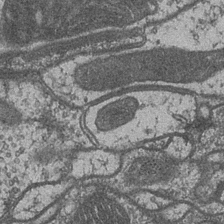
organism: Drosophila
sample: Optic medulla